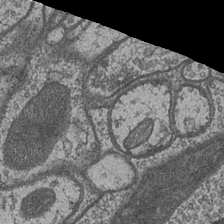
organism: Drosophila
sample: Optic medulla